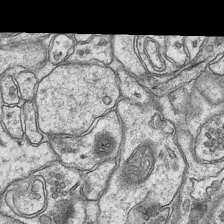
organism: Mouse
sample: CA1 Hippocampus